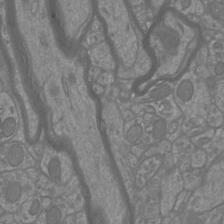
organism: Mouse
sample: Cortical neurons